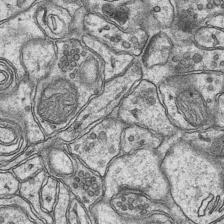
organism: Mouse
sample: CA1 Hippocampus